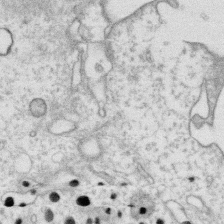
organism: Human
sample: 1205lu cells